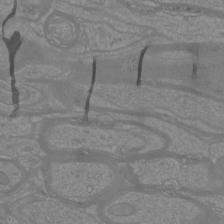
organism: Mouse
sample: Cortical neurons